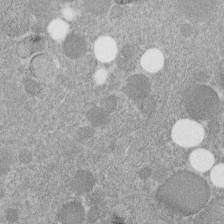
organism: C. elegans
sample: C. elegans embryo early stage